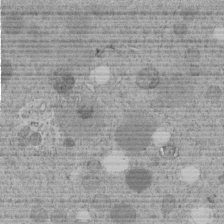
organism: C. elegans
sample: C. elegans embryo early stage